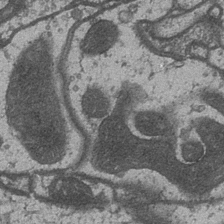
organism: Drosophila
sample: Optic medulla